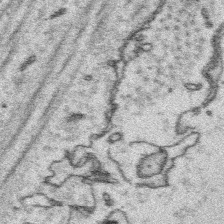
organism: Platynereis dumerilii